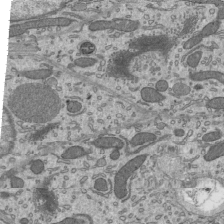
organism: Mouse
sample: Mouse epididymis efferent ductule cilia